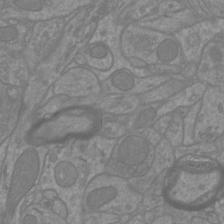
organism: Mouse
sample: Cortical neurons